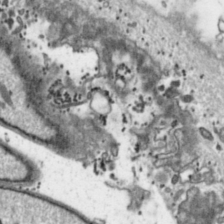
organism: Toxoplasma gondii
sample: Parasites in a vacuole inside a host cell